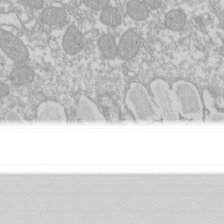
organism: Xenopus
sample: Cilia; centrioles in frog embryo cells